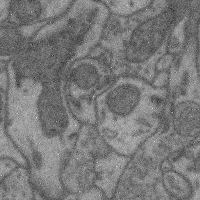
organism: Mouse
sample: Cerebral cortex